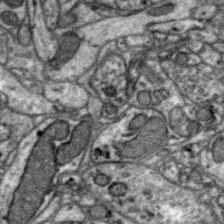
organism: Zebra finch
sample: Brain